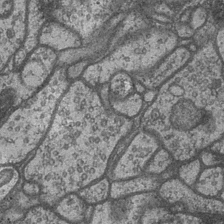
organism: Drosophila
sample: Optic medulla